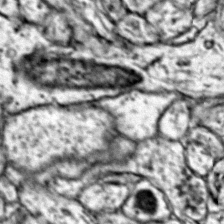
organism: Mouse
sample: Primary visual cortex